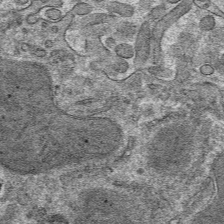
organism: Mouse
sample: Mouse hepatocytes